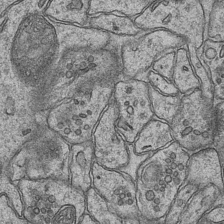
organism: Mouse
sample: CA1 Hippocampus